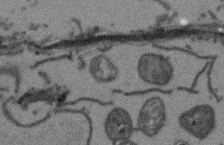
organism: Arabidopsis thaliana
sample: Root tip